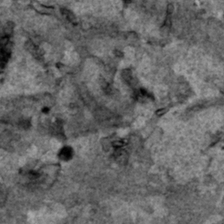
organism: Human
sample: Mitochondria in HCT116 cells